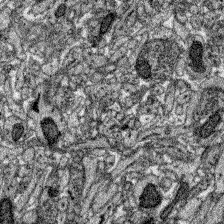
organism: Zebrafish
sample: Larval olfactory bulb